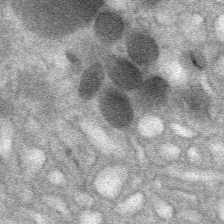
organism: Mouse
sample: Mouse Salivary gland